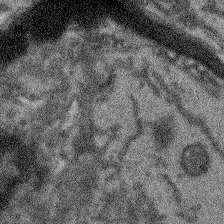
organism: Arabidopsis thaliana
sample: Root tip